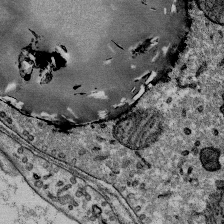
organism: Mouse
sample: Mouse Salivary gland